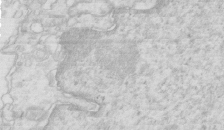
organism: Mouse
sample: Multiciliated cells